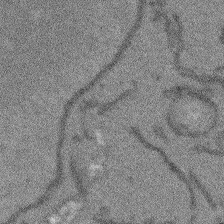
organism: Arabidopsis thaliana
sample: Root tip